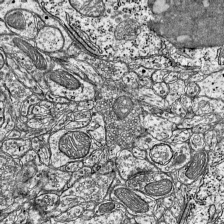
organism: Mouse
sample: Visual Cortex